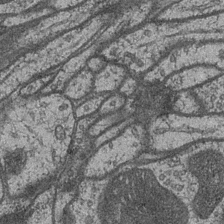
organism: Drosophila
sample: Optic medulla